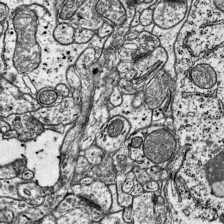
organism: Mouse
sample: Visual Cortex